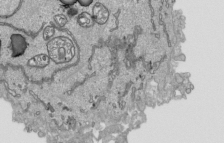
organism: Human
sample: Mitochondria in HCT116 cells